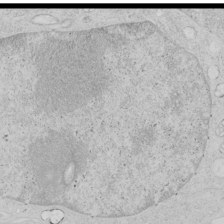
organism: Human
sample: Mitochondria in HCT116 cells